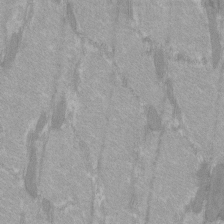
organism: C57BL Mouse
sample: Tibialis anterior muscle cell